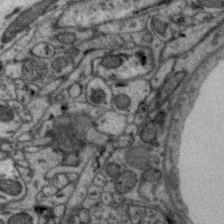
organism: Zebra finch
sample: Brain